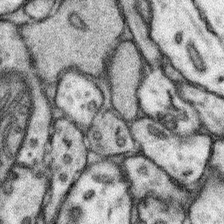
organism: Mouse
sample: Somatosensory cortex neuropil